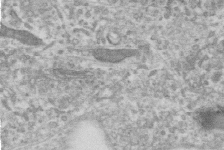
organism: Human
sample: Centriole in RPE cells